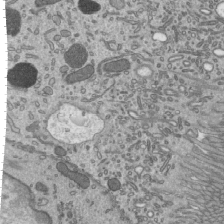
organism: Mouse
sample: Mouse epididymis efferent ductule cilia